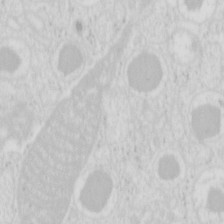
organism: Mouse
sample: Pancreas